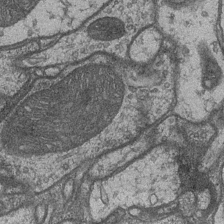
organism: Drosophila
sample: Optic medulla